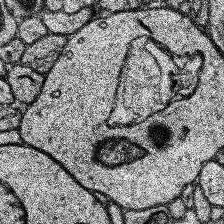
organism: Human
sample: Temporal Lobe